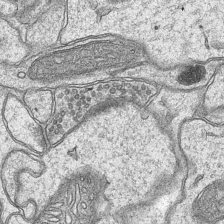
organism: Mouse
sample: CA1 Hippocampus